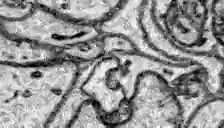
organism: Zebrafish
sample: Brain